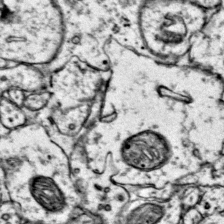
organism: Mouse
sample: Primary visual cortex